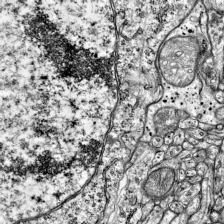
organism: Mouse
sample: Visual Cortex